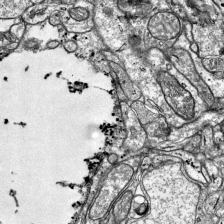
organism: Mouse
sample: Visual Cortex